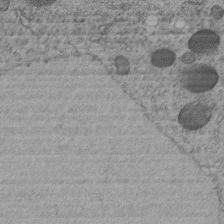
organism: C. elegans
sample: C. elegans embryo early stage